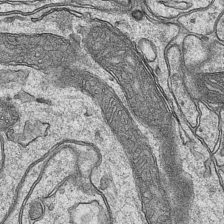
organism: Mouse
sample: CA1 Hippocampus